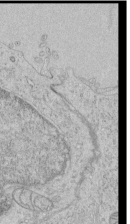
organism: Human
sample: Mitochondria in HCT116 cells